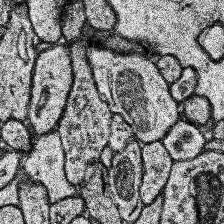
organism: Human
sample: Temporal Lobe